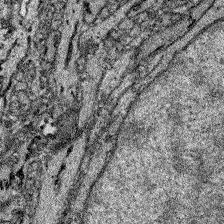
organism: Zebrafish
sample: Larval olfactory bulb